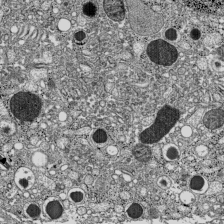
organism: C57BL Mouse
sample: Pancreatic islet